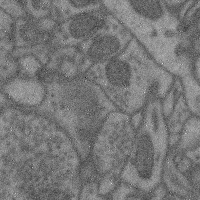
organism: Mouse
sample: Cerebral cortex